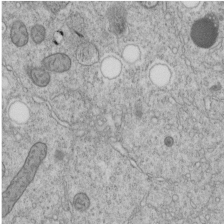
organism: C. elegans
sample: C. elegans embryo early stage